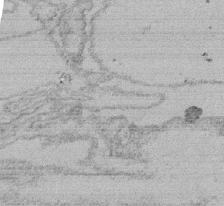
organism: Tetrahymena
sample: Cilia in tetrahymena